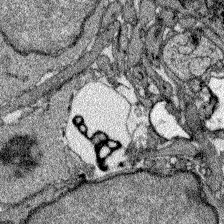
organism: Zebrafish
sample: Larval olfactory bulb